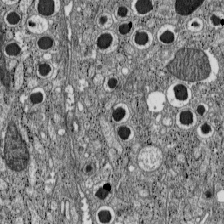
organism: C57BL Mouse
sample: Pancreatic islet